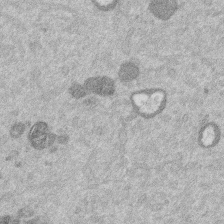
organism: Mouse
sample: Dividing mouse embryo 1 cell stage